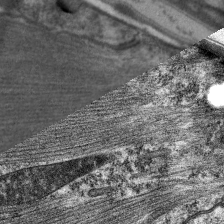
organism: C. elegans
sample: Pharynx